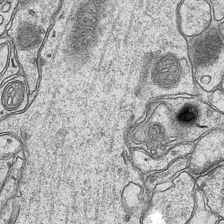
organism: Mouse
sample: CA1 Hippocampus